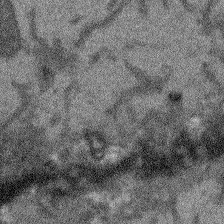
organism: Arabidopsis thaliana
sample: Root tip